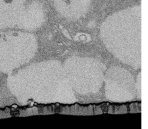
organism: Rat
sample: Salivary granule